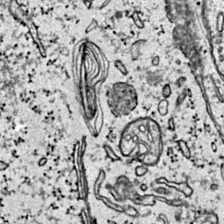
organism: Mouse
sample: Primary visual cortex